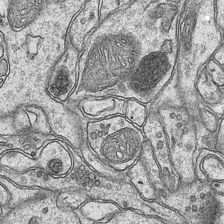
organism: Mouse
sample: CA1 Hippocampus